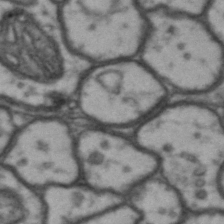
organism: Drosophila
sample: Brain